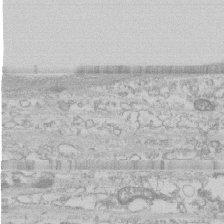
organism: Human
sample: CRL-1474